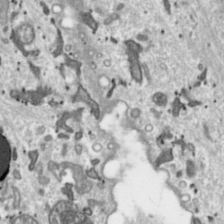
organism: Toxoplasma gondii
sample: Parasites in a vacuole inside a host cell